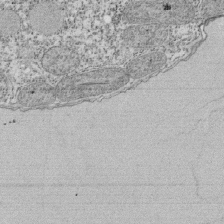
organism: Tetrahymena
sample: Cilia in tetrahymena